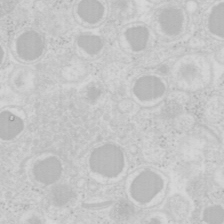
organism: Mouse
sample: Pancreas